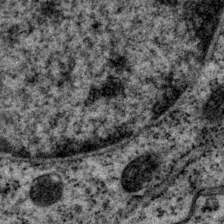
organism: P. pacificus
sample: Pharynx